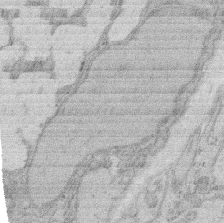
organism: Rat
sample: Salivary granule